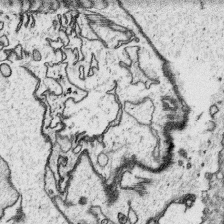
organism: Platynereis dumerilii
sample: Parapodia